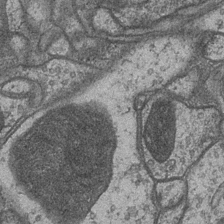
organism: Drosophila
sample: Optic medulla